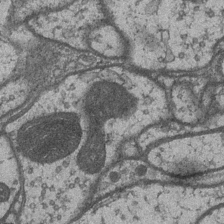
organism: Drosophila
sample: Optic medulla